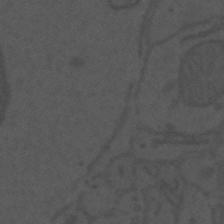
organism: Mouse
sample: Suprachiasmatic nucleus